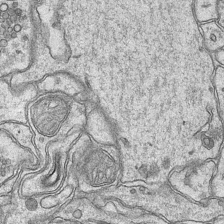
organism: Mouse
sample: CA1 Hippocampus